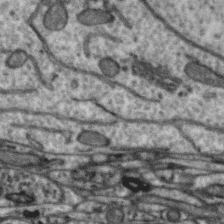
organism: Zebra finch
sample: Brain